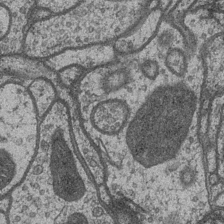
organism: Drosophila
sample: Optic medulla